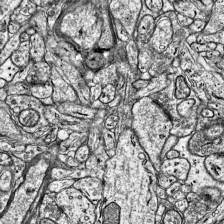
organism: Mouse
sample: Visual Cortex